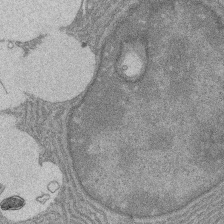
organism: Rat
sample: Salivary granule